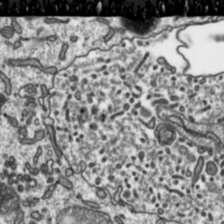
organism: Toxoplasma gondii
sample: Parasites in a vacuole inside a host cell